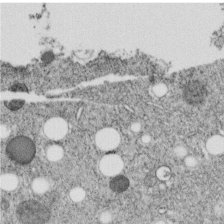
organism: C. elegans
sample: C. elegans embryo early stage